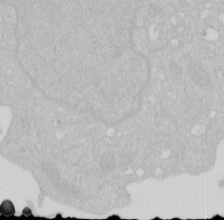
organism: Human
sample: HIV infected U937 cells